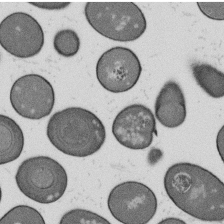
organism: B. subtilis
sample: Bacterial spore